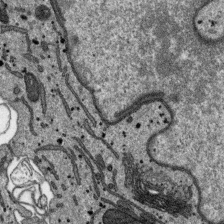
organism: Human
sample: Lung epithelial cells, uninfected (mock) control